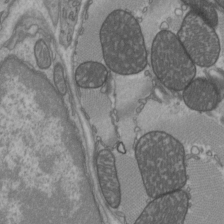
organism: C57BL Mouse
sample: Heart